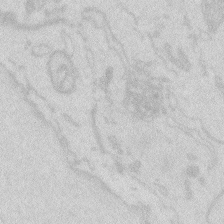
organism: Zebrafish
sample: Macrophage